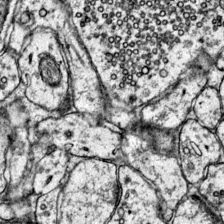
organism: Mouse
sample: Primary visual cortex